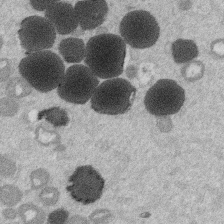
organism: Mouse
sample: Dividing mouse embryo 1 cell stage